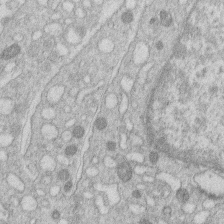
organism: Human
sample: Macrophage cells